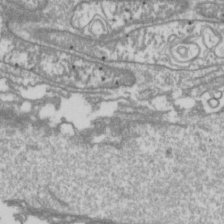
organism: Drosophila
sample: Cell division; meiosis; drosophila spermatocytes